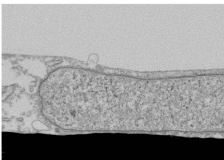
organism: Human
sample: Fibroblast cells